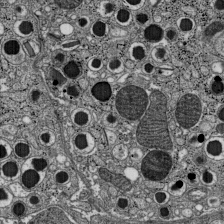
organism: C57BL Mouse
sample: Pancreatic islet